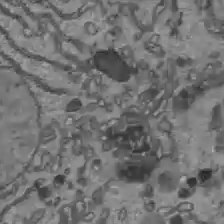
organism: C57BL Mouse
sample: Liver